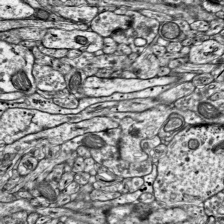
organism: Mouse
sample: Visual Cortex